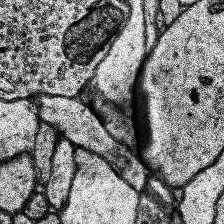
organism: Human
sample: Temporal Lobe